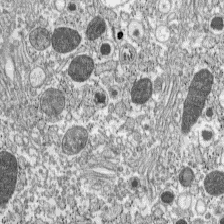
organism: C57BL Mouse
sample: Pancreatic islet